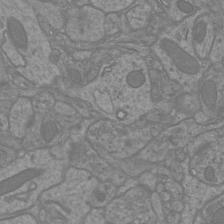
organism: Mouse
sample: Cortical neurons